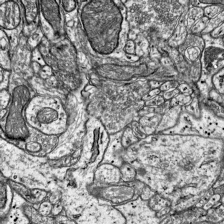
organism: Mouse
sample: Visual Cortex